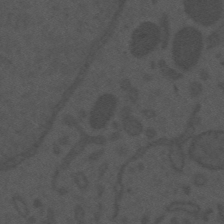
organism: Mouse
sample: Suprachiasmatic nucleus